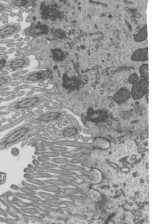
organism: Mouse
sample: Mouse epididymis efferent ductule cilia